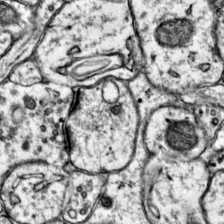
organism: Mouse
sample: Primary visual cortex